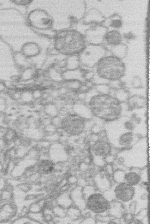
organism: Human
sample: Macrophage cells